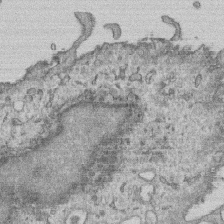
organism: Human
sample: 1205lu cells